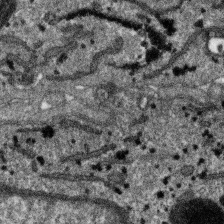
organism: Human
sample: Lung epithelial cells infected with SARS-CoV-2